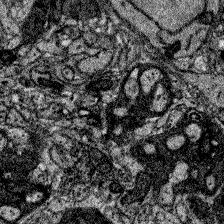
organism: Zebrafish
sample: Larval olfactory bulb